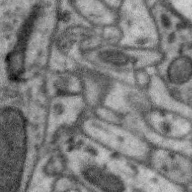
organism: Zebra finch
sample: Brain